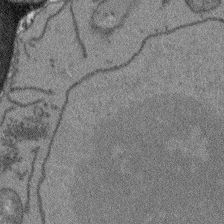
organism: Arabidopsis thaliana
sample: Root tip